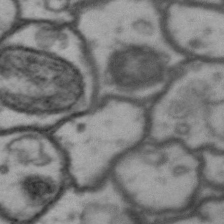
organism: Drosophila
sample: Brain